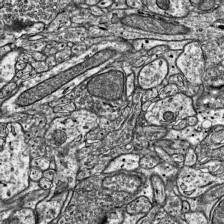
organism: Mouse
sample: Visual Cortex